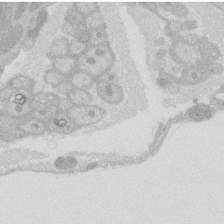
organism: Rat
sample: Salivary granule